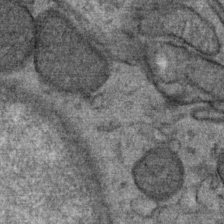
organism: Mouse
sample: Mouse Salivary gland